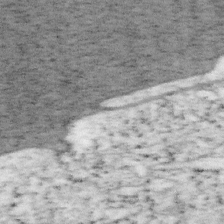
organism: Mouse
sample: OT-I killer T cells with ID8 ovarian cancer cells